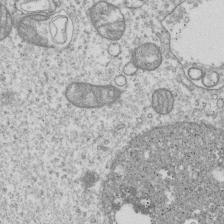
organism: Human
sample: MDA-MB-231 cells